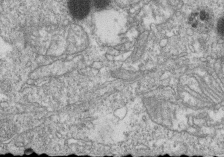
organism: Human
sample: HeLa cell HIV synapse